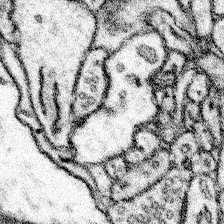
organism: Mouse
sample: Somatosensory cortex neuropil